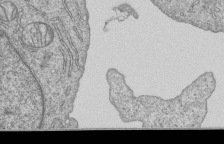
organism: Human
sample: MDA-MB-231 cells